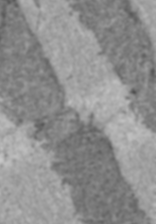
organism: C57BL Mouse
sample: Heart